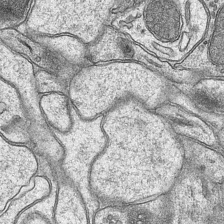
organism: Mouse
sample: CA1 Hippocampus